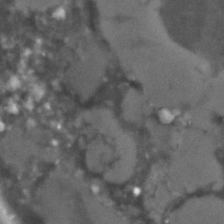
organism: C. elegans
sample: C. elegans embryo